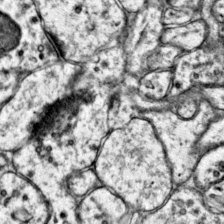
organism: Mouse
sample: Primary visual cortex